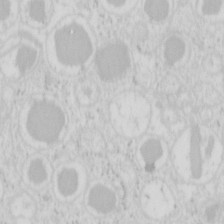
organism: Mouse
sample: Pancreas